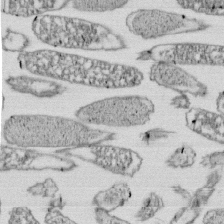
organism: E. coli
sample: Bacterial nucleoid